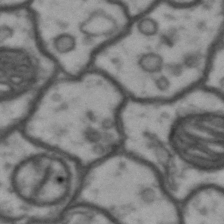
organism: Drosophila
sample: Brain